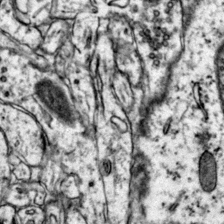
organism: Mouse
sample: Primary visual cortex